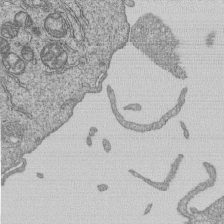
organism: Human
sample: MDA-MB-231 cells